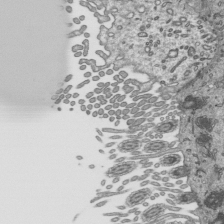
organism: Mouse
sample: Mouse epididymis efferent ductule cilia